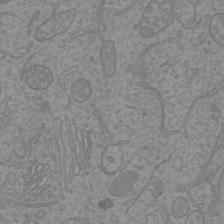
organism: Mouse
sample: Cortical neurons